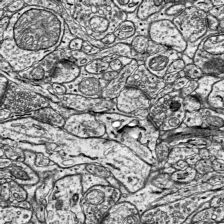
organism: Mouse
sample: Visual Cortex